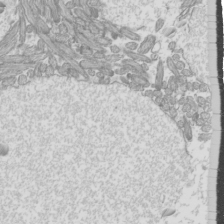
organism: Mouse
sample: Cilia; mouse epididymis